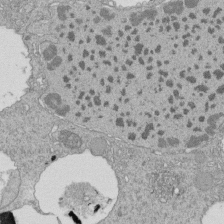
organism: Tetrahymena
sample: Cilia in tetrahymena